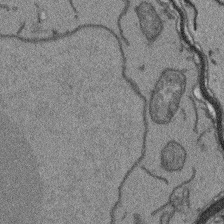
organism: Arabidopsis thaliana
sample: Root tip